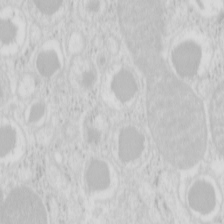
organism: Mouse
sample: Pancreas